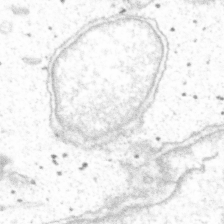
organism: Human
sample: HeLa cells